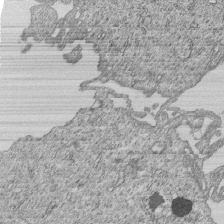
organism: Human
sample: MDA-MB-231 cells